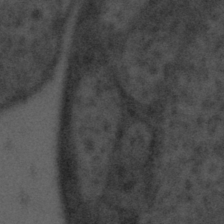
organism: Tuwongella immobilis